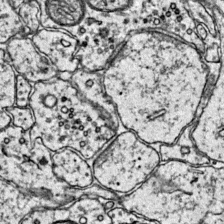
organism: Mouse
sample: Primary visual cortex